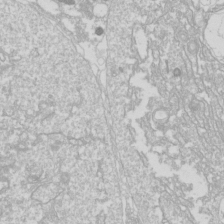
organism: Drosophila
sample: Cell division; meiosis; drosophila spermatocytes